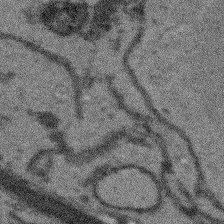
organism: Arabidopsis thaliana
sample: Root tip